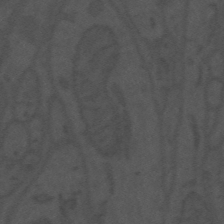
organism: Mouse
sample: Suprachiasmatic nucleus